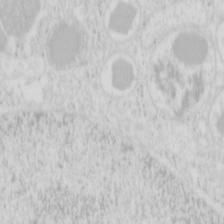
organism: Mouse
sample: Pancreas